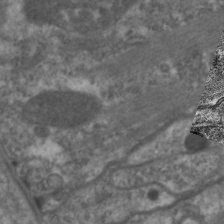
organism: C. elegans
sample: Pharynx